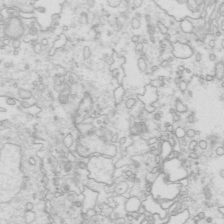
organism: Mouse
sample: Multiciliated cells